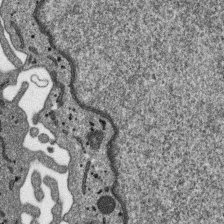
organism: Human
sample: Lung epithelial cells infected with SARS-CoV-2